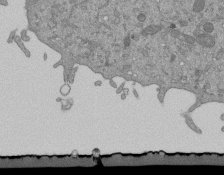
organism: Mouse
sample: ED-1 cell nuclei; centrioles